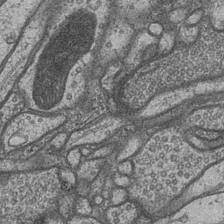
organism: Drosophila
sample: Optic medulla